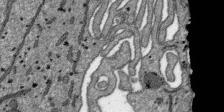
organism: Human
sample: Lung epithelial cells, uninfected (mock) control